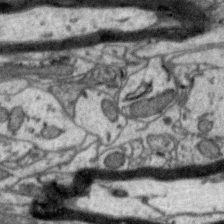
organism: Zebra finch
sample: Brain